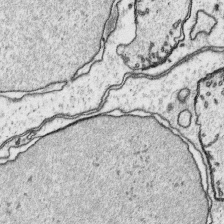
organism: Platynereis dumerilii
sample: Parapodia